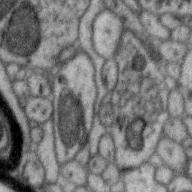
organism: Zebra finch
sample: Brain